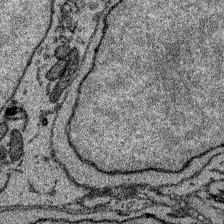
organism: Zebrafish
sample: Larval olfactory bulb